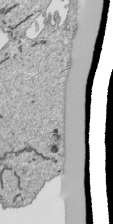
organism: Human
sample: Mitochondria in HCT116 cells